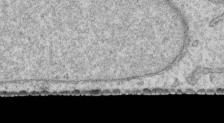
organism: Human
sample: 1205lu cells